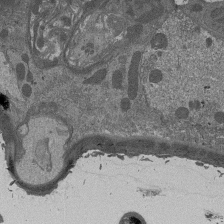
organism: Drosophila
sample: Antenna